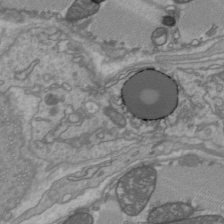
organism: C57BL Mouse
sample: Heart